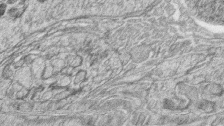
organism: Zebrafish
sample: synaptic ribbons in rod cells and cone cells